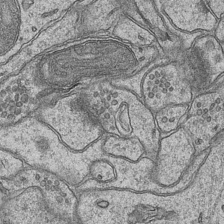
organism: Mouse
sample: CA1 Hippocampus